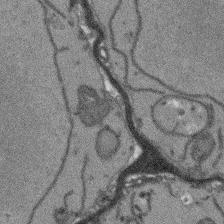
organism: Arabidopsis thaliana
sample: Root tip